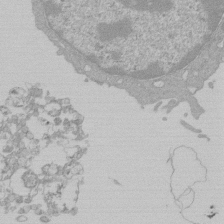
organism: Mouse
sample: Activated Pmel transgenic CD8+ T Cells